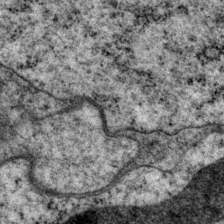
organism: P. pacificus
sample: Pharynx